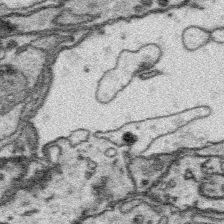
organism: Platynereis dumerilii